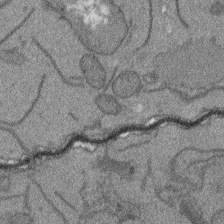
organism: Arabidopsis thaliana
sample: Root tip